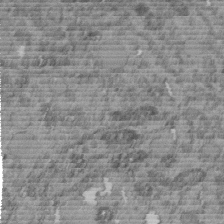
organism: C. elegans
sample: C. elegans embryo early stage